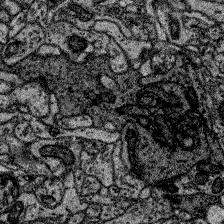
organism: Zebrafish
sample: Larval olfactory bulb